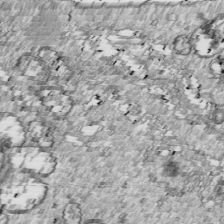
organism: Drosophila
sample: Cell division; meiosis; drosophila spermatocytes